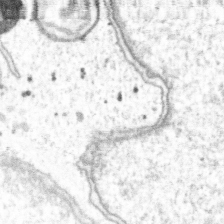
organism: Human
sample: HeLa cells